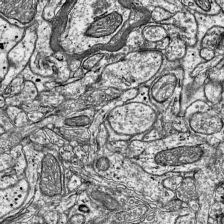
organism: Mouse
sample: Visual Cortex